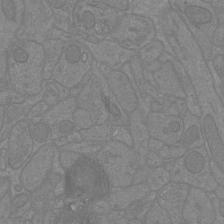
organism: Mouse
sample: Cortical neurons